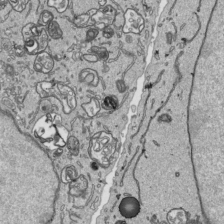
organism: Human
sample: Mitochondria in HCT116 cells